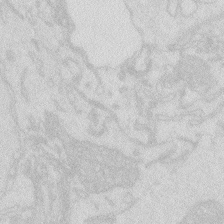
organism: Zebrafish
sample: Macrophage